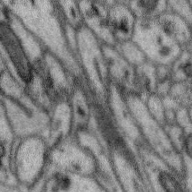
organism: Zebra finch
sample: Brain